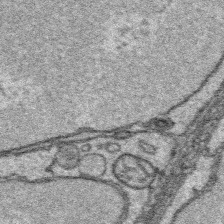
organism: Platynereis dumerilii